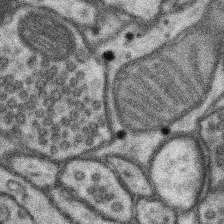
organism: Mouse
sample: Somatosensory cortex neuropil